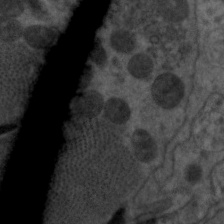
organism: C. elegans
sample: Pharynx